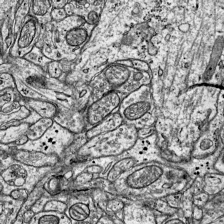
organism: Mouse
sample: Visual Cortex